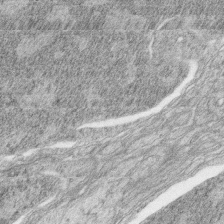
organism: Zebrafish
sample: synaptic ribbons in rod cells and cone cells